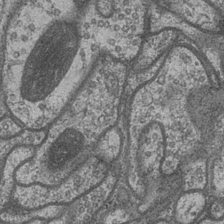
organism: Drosophila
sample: Optic medulla